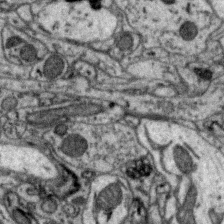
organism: Zebra finch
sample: Brain